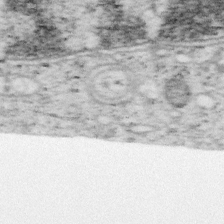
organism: Mouse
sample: OT-I killer T cells with ID8 ovarian cancer cells